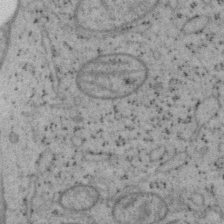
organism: Human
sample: HeLa cells